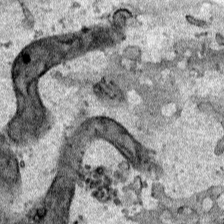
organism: Human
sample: Mitochondria in HCT116 cells